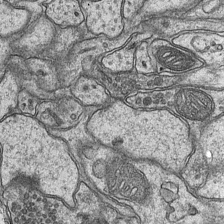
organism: Mouse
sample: CA1 Hippocampus